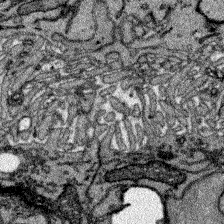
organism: Zebrafish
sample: Larval olfactory bulb